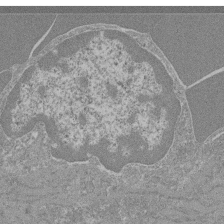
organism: Mouse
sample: Glomerulus